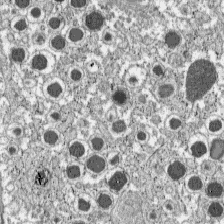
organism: C57BL Mouse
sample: Pancreatic islet